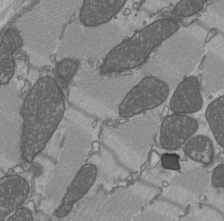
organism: C57BL Mouse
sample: Heart